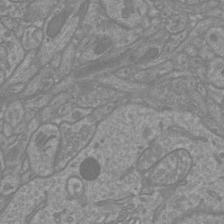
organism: Mouse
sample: Cortical neurons